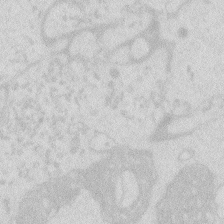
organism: Zebrafish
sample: Macrophage